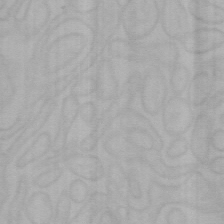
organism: Mouse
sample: Choroid plexus